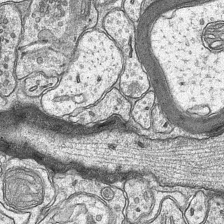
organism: Mouse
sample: CA1 Hippocampus